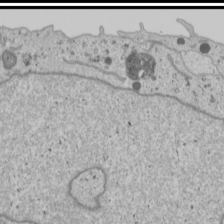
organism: Human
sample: Mitochondria in U2OS cells